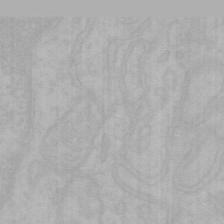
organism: Mouse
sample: Choroid plexus